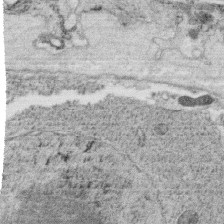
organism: C. elegans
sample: C. elegans oocyte; sperm cells